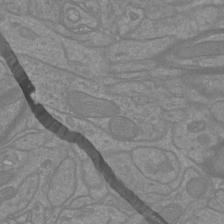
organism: Mouse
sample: Cortical neurons